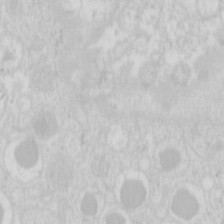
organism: Mouse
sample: Pancreas